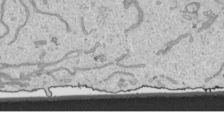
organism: Human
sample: Mitochondria in HCT116 cells